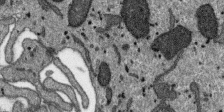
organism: Human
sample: Lung epithelial cells, uninfected (mock) control